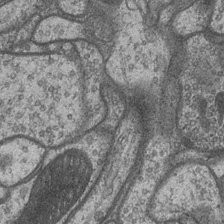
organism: Drosophila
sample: Optic medulla